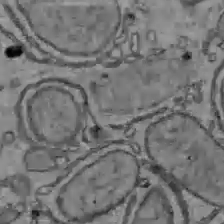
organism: C57BL Mouse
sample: Liver